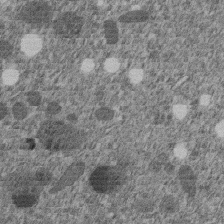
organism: C. elegans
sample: C. elegans embryo early stage